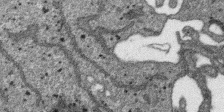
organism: Human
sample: Lung epithelial cells infected with SARS-CoV-2